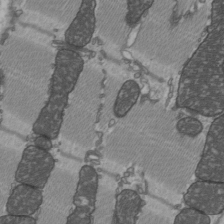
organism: C57BL Mouse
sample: Heart